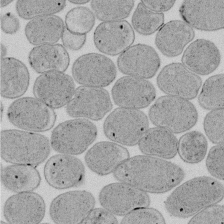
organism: E. coli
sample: Bacterial nucleoid